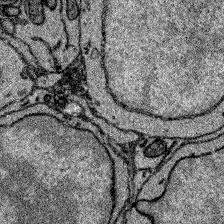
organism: Zebrafish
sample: Larval olfactory bulb